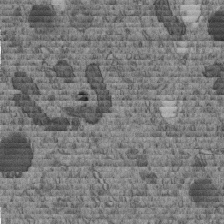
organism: C. elegans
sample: C. elegans embryo early stage